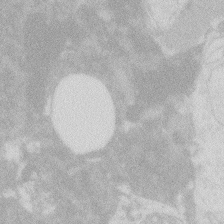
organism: Zebrafish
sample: Macrophage